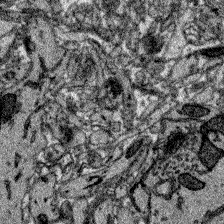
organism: Zebrafish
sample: Larval olfactory bulb